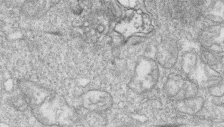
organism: Human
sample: HeLa cell HIV synapse